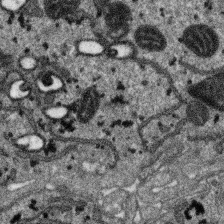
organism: Human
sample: Lung epithelial cells infected with SARS-CoV-2